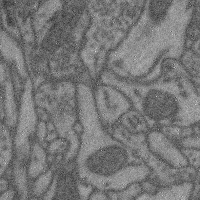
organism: Mouse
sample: Cerebral cortex